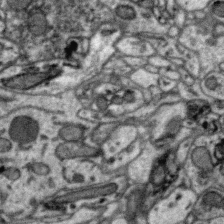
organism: Zebra finch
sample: Brain